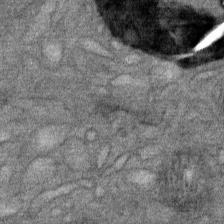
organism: Mouse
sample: Mouse Salivary gland